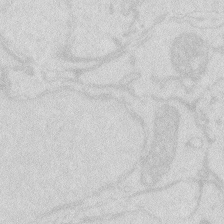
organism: Zebrafish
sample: Macrophage